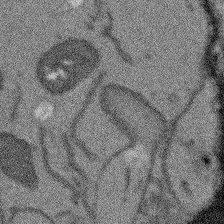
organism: Arabidopsis thaliana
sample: Root tip